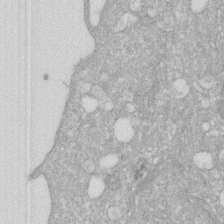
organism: Human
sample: HIV infected U937 cells